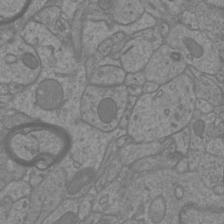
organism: Mouse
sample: Cortical neurons